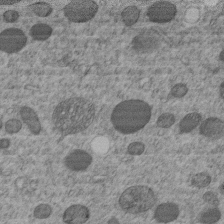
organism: C. elegans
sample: C. elegans embryo early stage